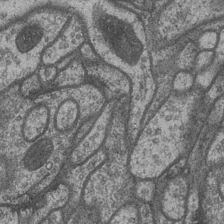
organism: Drosophila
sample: Optic medulla